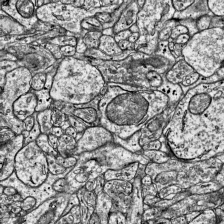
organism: Mouse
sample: Visual Cortex